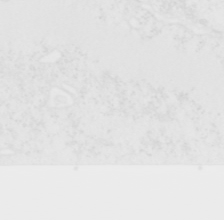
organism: Human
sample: T Cells (Jurkat E6.1)